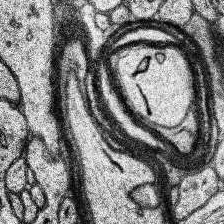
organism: Human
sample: Temporal Lobe